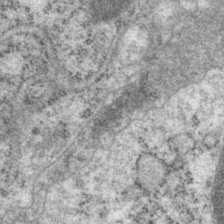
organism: P. pacificus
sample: Pharynx